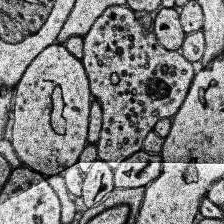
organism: Human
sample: Temporal Lobe